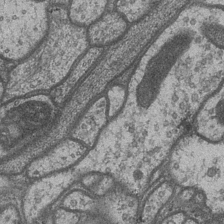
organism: Drosophila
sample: Optic medulla